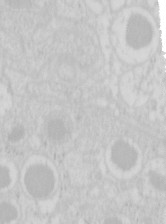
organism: Mouse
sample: Pancreas